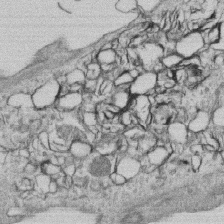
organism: Human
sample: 1205lu cells